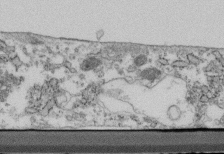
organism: Mouse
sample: Cilia; retinal pigment epithelium